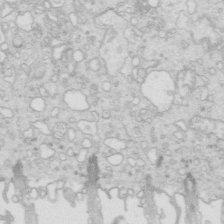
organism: Mouse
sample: Multiciliated cells